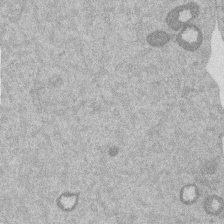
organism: Mouse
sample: Dividing mouse embryo 1 cell stage